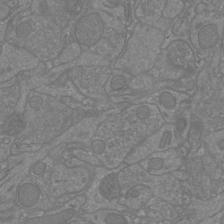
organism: Mouse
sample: Cortical neurons